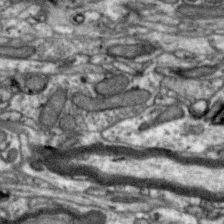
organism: Zebra finch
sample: Brain